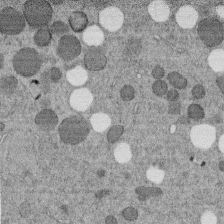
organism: C. elegans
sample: C. elegans embryo early stage